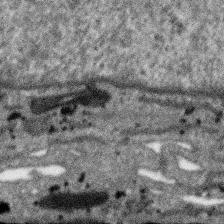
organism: Human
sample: Lung epithelial cells infected with SARS-CoV-2